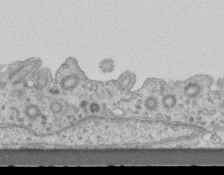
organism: Mouse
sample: Centriole in ependymal cells